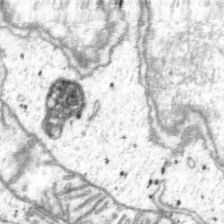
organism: Human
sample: HeLa cells